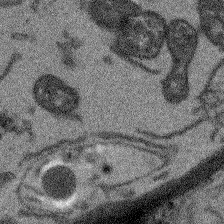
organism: Arabidopsis thaliana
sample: Root tip